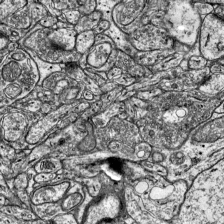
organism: Mouse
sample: Visual Cortex